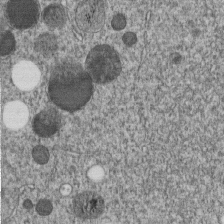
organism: C. elegans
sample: C. elegans embryo early stage